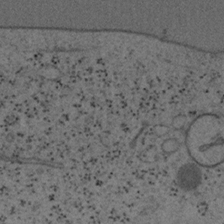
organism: Human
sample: HeLa cells